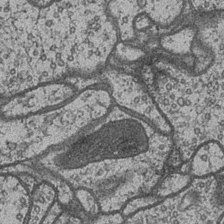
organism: Drosophila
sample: Optic medulla